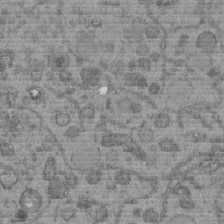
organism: C. elegans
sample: C. elegans embryo early stage